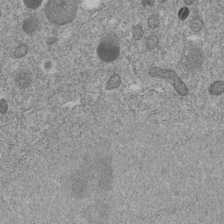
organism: C. elegans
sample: C. elegans embryo early stage